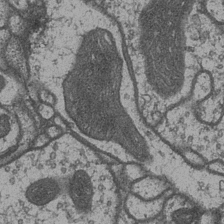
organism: Drosophila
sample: Optic medulla